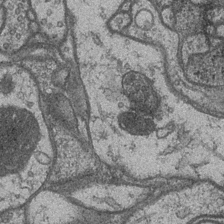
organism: Drosophila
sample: Optic medulla